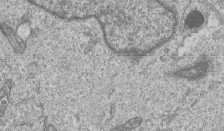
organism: Human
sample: MDA-MB-231 cells